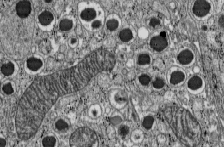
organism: C57BL Mouse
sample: Pancreatic islet